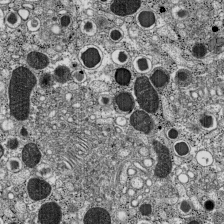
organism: C57BL Mouse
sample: Pancreatic islet